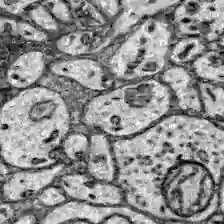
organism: Zebrafish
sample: Brain